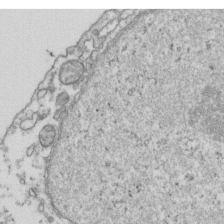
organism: Human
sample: Activated Jurkat CD4+ T cells